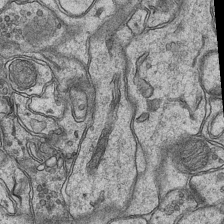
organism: Mouse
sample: CA1 Hippocampus